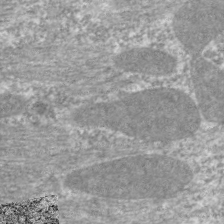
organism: C. elegans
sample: Pharynx